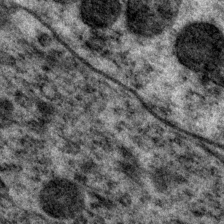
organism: P. pacificus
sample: Pharynx